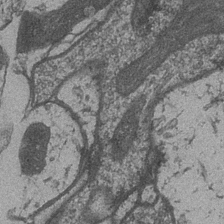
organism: Drosophila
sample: Optic medulla